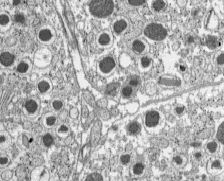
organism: C57BL Mouse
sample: Pancreatic islet